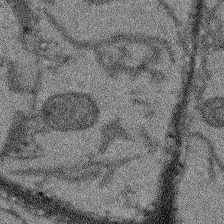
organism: Arabidopsis thaliana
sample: Root tip